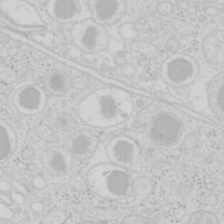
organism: Mouse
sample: Pancreas